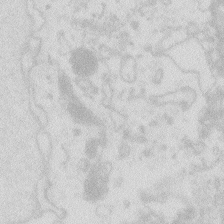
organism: Zebrafish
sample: Macrophage